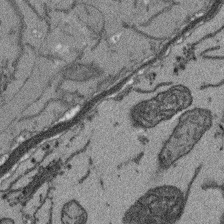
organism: Arabidopsis thaliana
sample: Root tip